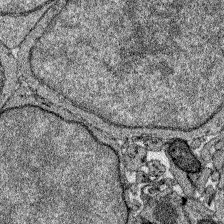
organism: Zebrafish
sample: Larval olfactory bulb